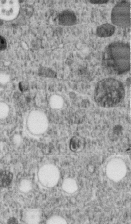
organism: C. elegans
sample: C. elegans embryo early stage